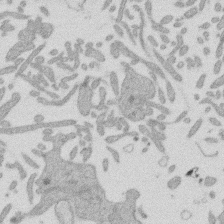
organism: Mouse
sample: Dividing mouse embryo 1 cell stage